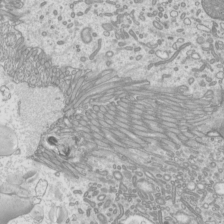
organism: Mouse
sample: Cilia; mouse epididymis